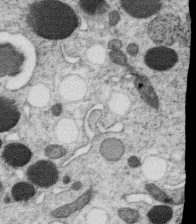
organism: C. elegans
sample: C. elegans oocyte; sperm cells